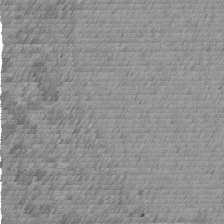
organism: C. elegans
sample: C. elegans embryo early stage